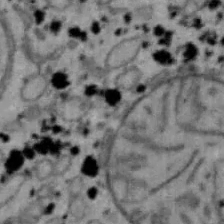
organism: Mouse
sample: Liver